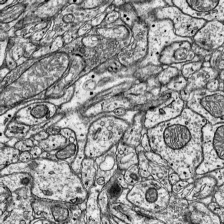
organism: Mouse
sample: Visual Cortex